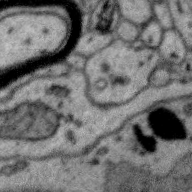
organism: Zebra finch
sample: Brain